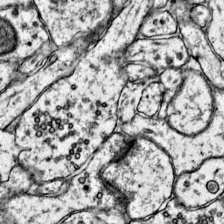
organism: Mouse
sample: Primary visual cortex